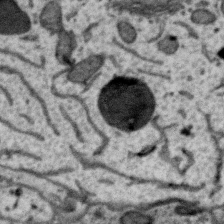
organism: Zebra finch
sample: Brain